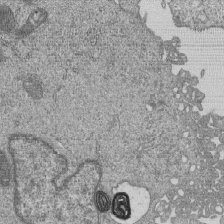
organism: Human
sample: MDA-MB-231 cells